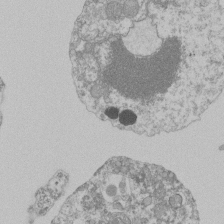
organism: Mouse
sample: Activated Pmel transgenic CD8+ T Cells